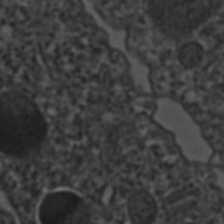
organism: C. elegans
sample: C. elegans embryo